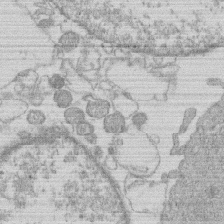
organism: Human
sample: Macrophage cells